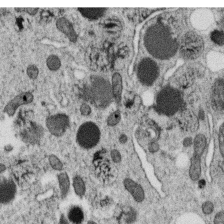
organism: C. elegans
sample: C. elegans oocyte; sperm cells